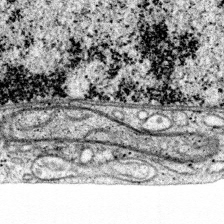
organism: Human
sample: HeLa cells